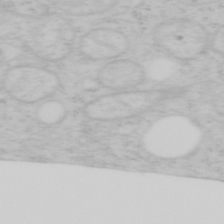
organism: Mouse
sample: OT-I killer T cells with ID8 ovarian cancer cells